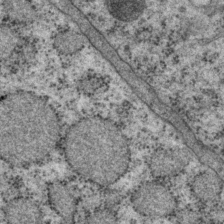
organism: P. pacificus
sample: Pharynx